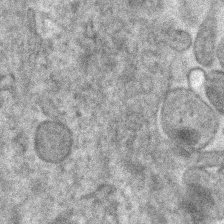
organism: Human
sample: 1205lu cells